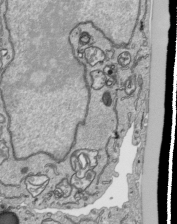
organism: Human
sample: Mitochondria in HCT116 cells